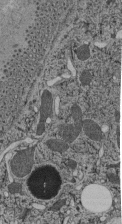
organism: C. elegans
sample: C. elegans pharynx